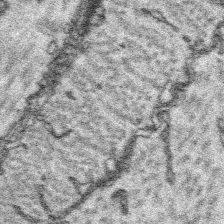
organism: Platynereis dumerilii